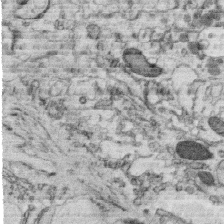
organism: C. elegans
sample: C. elegans oocyte; sperm cells